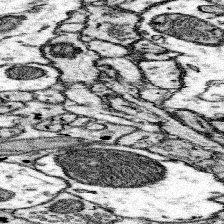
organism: Mouse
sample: Somatosensory cortex neuropil